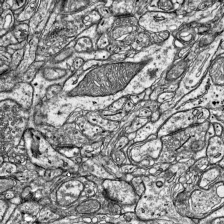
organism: Mouse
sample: Visual Cortex